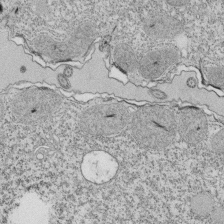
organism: Tetrahymena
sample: Cilia in tetrahymena